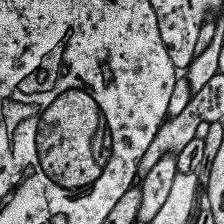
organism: Human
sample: Temporal Lobe